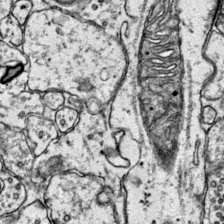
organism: Mouse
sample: Primary visual cortex